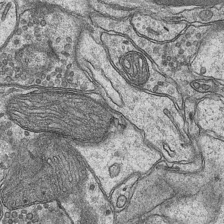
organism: Mouse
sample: CA1 Hippocampus